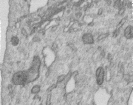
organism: Human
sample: Centriole in RPE cells